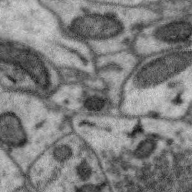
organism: Zebra finch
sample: Brain